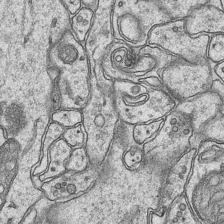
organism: Mouse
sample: CA1 Hippocampus